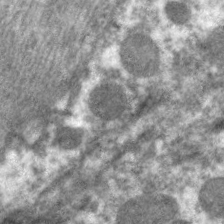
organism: C. elegans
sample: Pharynx